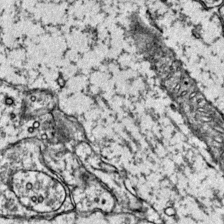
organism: Mouse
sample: Primary visual cortex